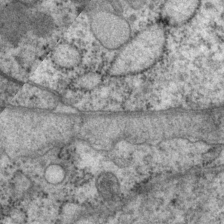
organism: P. pacificus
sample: Pharynx